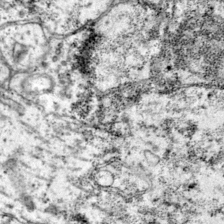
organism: Mouse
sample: Primary visual cortex